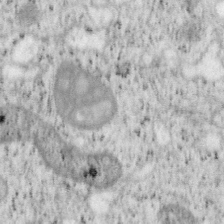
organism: Mouse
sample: OT-I killer T cells with ID8 ovarian cancer cells